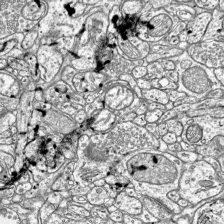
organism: Mouse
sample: Visual Cortex